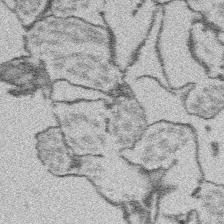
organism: Platynereis dumerilii